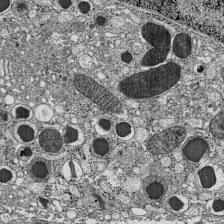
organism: C57BL Mouse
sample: Pancreatic islet